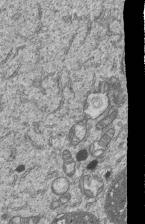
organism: Human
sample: MDA-MB-231 cells